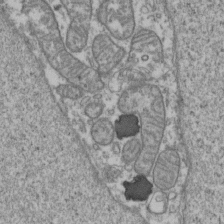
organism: Human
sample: Activated Jurkat CD4+ T cells